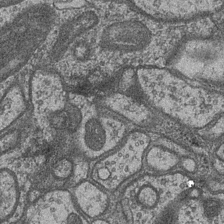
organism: Drosophila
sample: Optic medulla